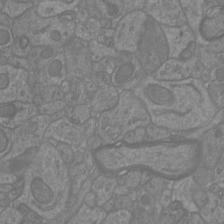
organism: Mouse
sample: Cortical neurons